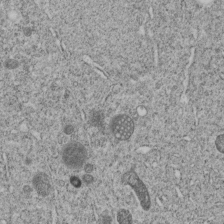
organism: C. elegans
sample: C. elegans embryo early stage